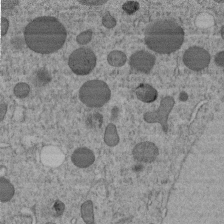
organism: C. elegans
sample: C. elegans embryo early stage